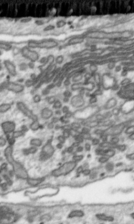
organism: Toxoplasma gondii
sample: Parasites in a vacuole inside a host cell